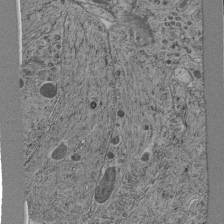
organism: C. elegans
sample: C. elegans pharynx